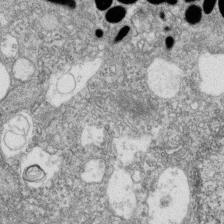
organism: Zebrafish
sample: Cilia; retinal pigment epithelium